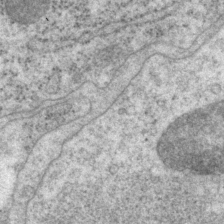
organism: P. pacificus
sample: Pharynx